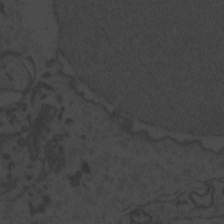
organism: Zebrafish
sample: Macrophage infected with Toxoplasma gondii